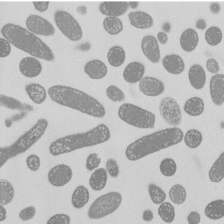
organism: E. coli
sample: Bacterial nucleoid